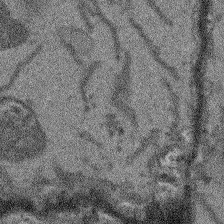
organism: Arabidopsis thaliana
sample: Root tip